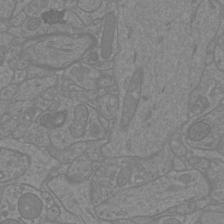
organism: Mouse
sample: Cortical neurons